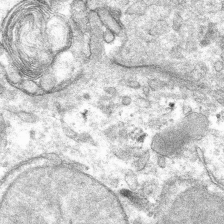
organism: Mouse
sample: Mouse hepatocytes